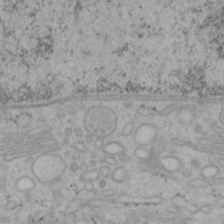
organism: Human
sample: HeLa cells